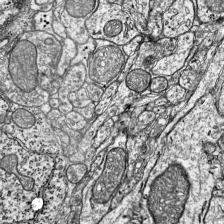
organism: Mouse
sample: Visual Cortex